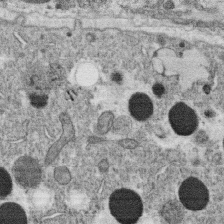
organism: C. elegans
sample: C. elegans oocyte; sperm cells